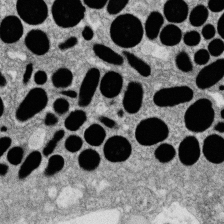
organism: Zebrafish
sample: Cilia; retinal pigment epithelium